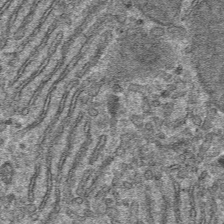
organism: Mouse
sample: Mouse hepatocytes